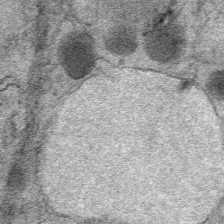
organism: Mouse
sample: Mouse Salivary gland